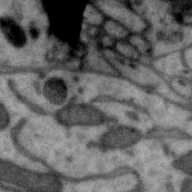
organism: Zebra finch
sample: Brain